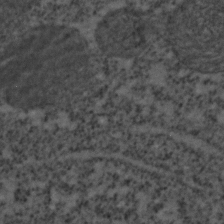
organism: C. elegans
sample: C. elegans embryo